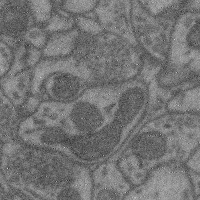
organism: Mouse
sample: Cerebral cortex